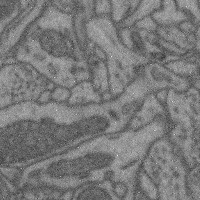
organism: Mouse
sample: Cerebral cortex